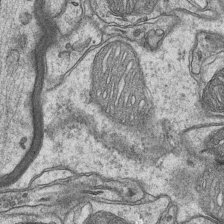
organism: Mouse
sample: CA1 Hippocampus